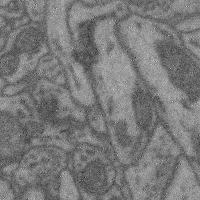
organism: Mouse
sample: Cerebral cortex